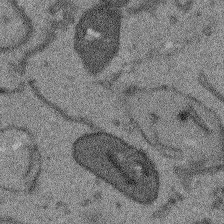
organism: Arabidopsis thaliana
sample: Root tip